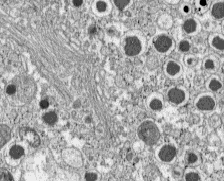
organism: C57BL Mouse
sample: Pancreatic islet